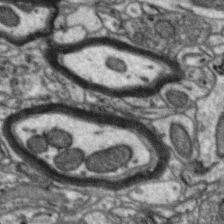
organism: Zebra finch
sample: Brain